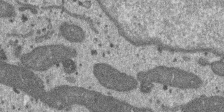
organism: Human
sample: Lung epithelial cells infected with SARS-CoV-2